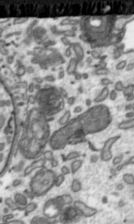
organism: Toxoplasma gondii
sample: Parasites in a vacuole inside a host cell